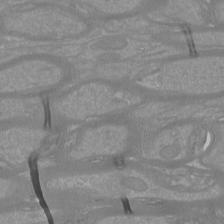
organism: Mouse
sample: Cortical neurons